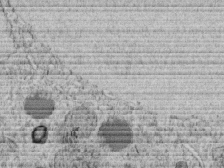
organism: C. elegans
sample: C. elegans embryo early stage